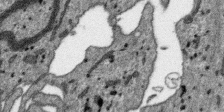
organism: Human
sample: Lung epithelial cells, uninfected (mock) control